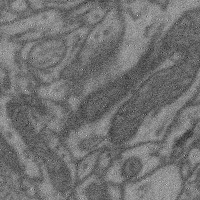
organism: Mouse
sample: Cerebral cortex